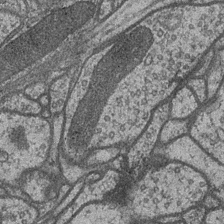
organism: Drosophila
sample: Optic medulla